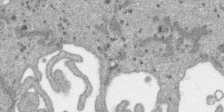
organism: Human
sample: Lung epithelial cells infected with SARS-CoV-2